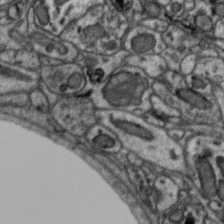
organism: Zebra finch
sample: Brain